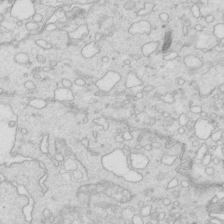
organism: Mouse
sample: Multiciliated cells